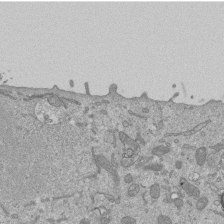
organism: Mouse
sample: ED-1 cell nuclei; centrioles